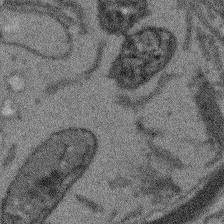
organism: Arabidopsis thaliana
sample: Root tip